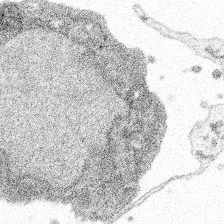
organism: Spongilla lacustris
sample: Multiple